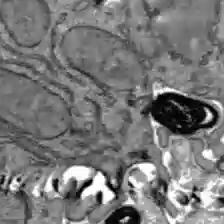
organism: C57BL Mouse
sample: Liver